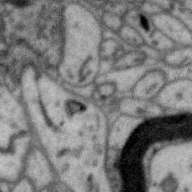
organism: Zebra finch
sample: Brain